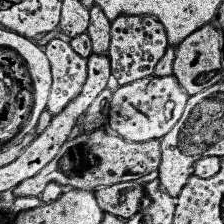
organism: Human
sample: Temporal Lobe